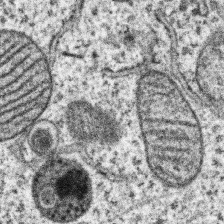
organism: Human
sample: HeLa cells